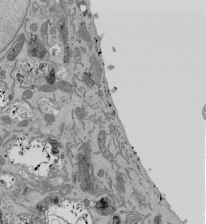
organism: Mouse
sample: ED-1 cell nuclei; centrioles